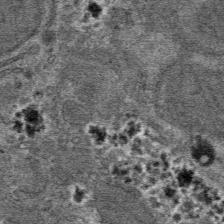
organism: Mouse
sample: Mouse hepatocytes